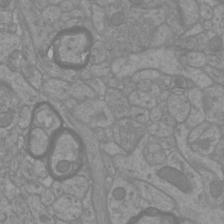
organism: Mouse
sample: Cortical neurons